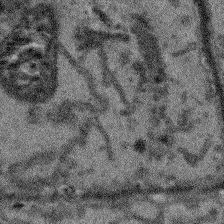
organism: Arabidopsis thaliana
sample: Root tip